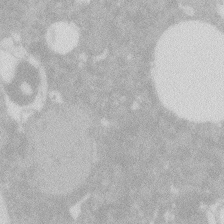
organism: Zebrafish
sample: Macrophage